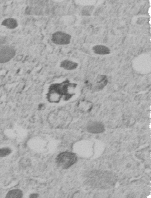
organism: C. elegans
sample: C. elegans embryo early stage